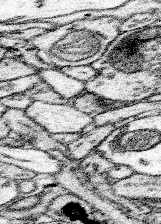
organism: Mouse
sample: Somatosensory cortex neuropil